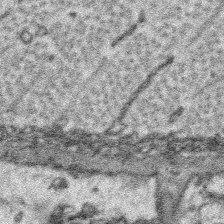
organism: Platynereis dumerilii